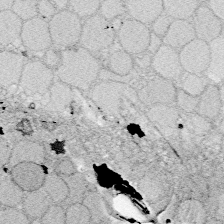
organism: Zebrafish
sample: Whole-Brain